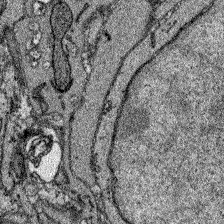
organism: Zebrafish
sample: Larval olfactory bulb